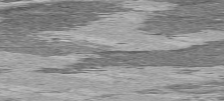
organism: C57BL Mouse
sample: Heart